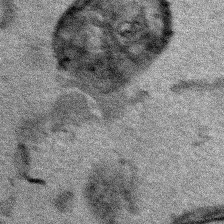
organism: Human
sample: Mitochondria in HCT116 cells